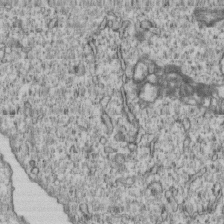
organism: Human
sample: MDA-MB-231 cells